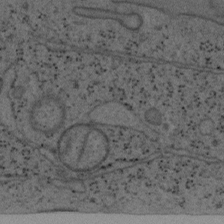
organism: Human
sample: HeLa cells